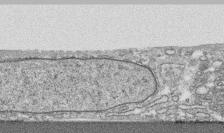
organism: Human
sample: CRL-1474